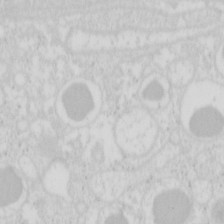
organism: Mouse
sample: Pancreas